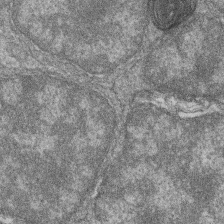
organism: Zebrafish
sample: Cilia; retinal pigment epithelium